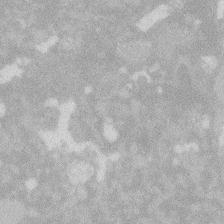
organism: Zebrafish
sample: Macrophage